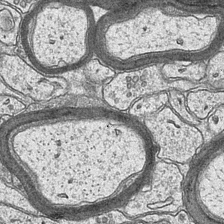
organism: Mouse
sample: CA1 Hippocampus